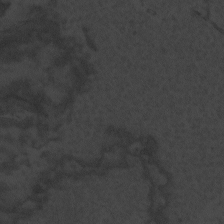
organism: Zebrafish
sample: Macrophage infected with Toxoplasma gondii